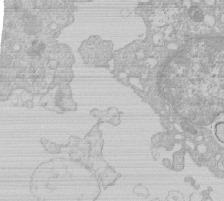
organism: Human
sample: Macrophage cells